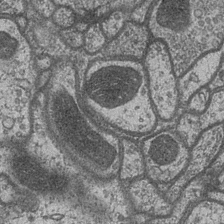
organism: Drosophila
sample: Optic medulla